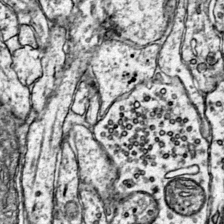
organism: Mouse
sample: Primary visual cortex